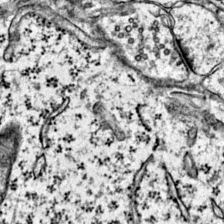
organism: Mouse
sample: Primary visual cortex